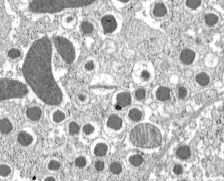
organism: C57BL Mouse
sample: Pancreatic islet